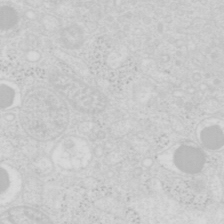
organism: Mouse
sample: Pancreas